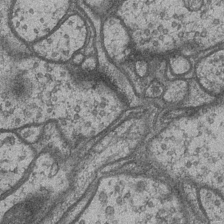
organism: Drosophila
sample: Optic medulla